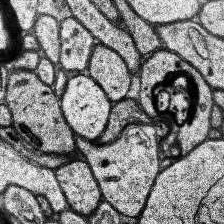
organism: Human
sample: Temporal Lobe